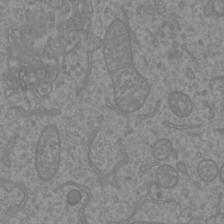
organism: Mouse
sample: Cortical neurons